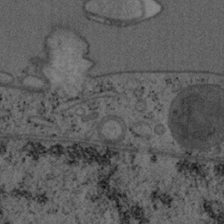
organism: Human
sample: HeLa cells